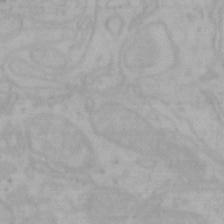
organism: Mouse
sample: Choroid plexus